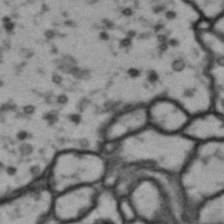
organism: Drosophila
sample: Brain